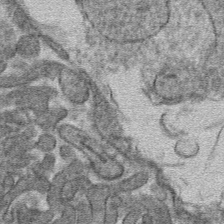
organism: Mouse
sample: Mouse hepatocytes